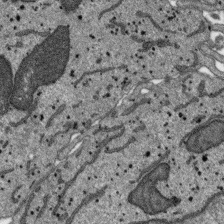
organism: Human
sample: Lung epithelial cells, uninfected (mock) control